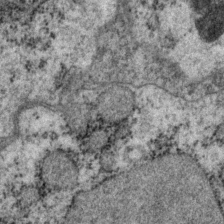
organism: P. pacificus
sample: Pharynx